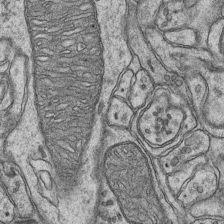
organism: Mouse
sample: CA1 Hippocampus